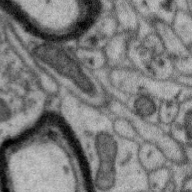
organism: Zebra finch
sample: Brain